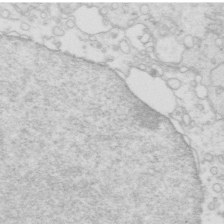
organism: Mouse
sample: Multiciliated cells